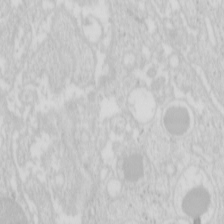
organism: Mouse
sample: Pancreas